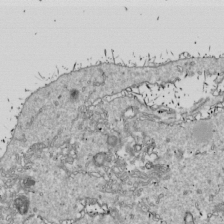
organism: Drosophila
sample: Cell division; meiosis; drosophila spermatocytes